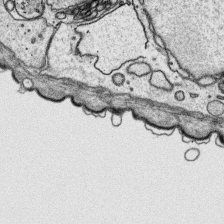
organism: Platynereis dumerilii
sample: Parapodia